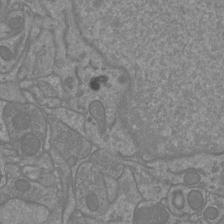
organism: Mouse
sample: Cortical neurons